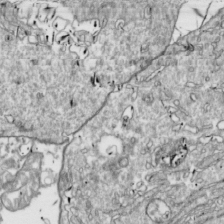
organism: Drosophila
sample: Cell division; meiosis; drosophila spermatocytes